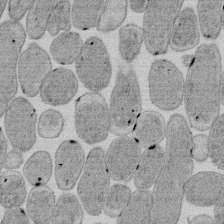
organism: E. coli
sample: Bacterial nucleoid